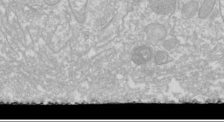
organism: Drosophila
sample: Cell division; meiosis; drosophila spermatocytes